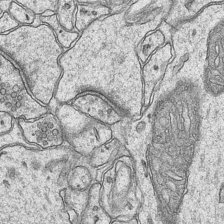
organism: Mouse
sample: CA1 Hippocampus